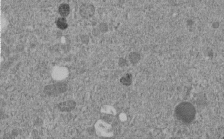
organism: C. elegans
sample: C. elegans embryo early stage